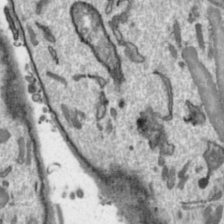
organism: Toxoplasma gondii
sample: Parasites in a vacuole inside a host cell